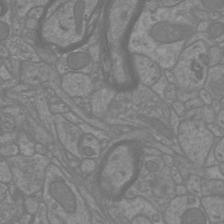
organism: Mouse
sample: Cortical neurons